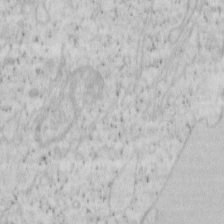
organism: Human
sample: HeLa cells